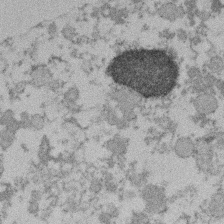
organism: Mouse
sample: Dividing mouse embryo 1 cell stage